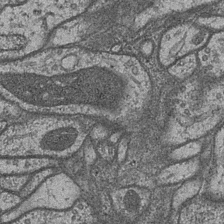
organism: Drosophila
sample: Optic medulla